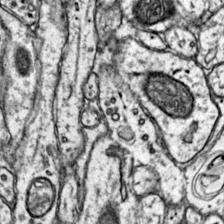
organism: Mouse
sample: Primary visual cortex